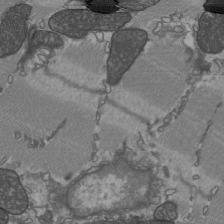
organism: C57BL Mouse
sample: Heart